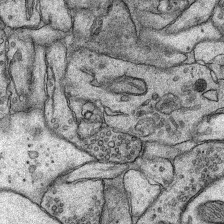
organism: Rat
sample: Hippocampus